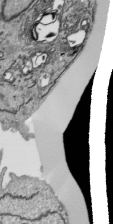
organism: Human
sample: Mitochondria in HCT116 cells